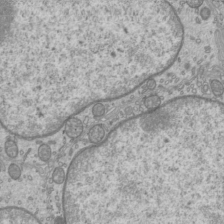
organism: Mouse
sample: Cilia; mouse epididymis